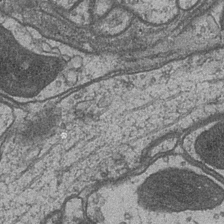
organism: Drosophila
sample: Optic medulla